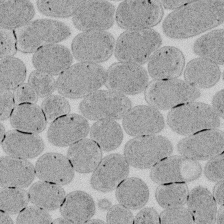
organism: E. coli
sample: Bacterial nucleoid